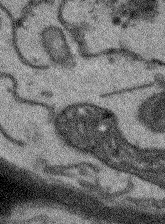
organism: Arabidopsis thaliana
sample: Root tip